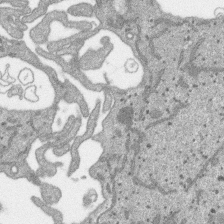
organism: Human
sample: Lung epithelial cells infected with SARS-CoV-2